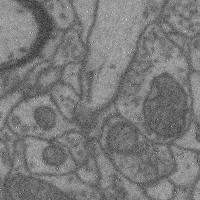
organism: Mouse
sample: Cerebral cortex